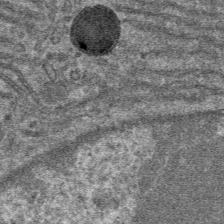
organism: Mouse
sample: Mouse hepatocytes